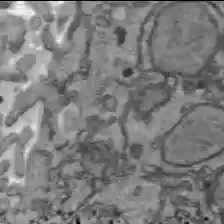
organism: C57BL Mouse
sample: Liver